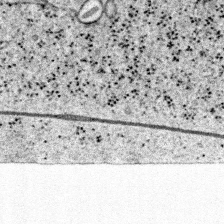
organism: Human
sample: HeLa cells